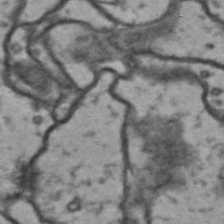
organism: Drosophila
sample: Brain